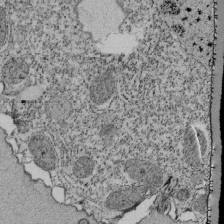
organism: Tetrahymena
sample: Cilia in tetrahymena